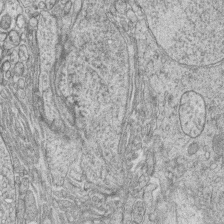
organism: Zebrafish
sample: synaptic ribbons in rod cells and cone cells